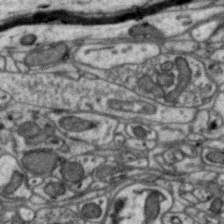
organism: Zebra finch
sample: Brain